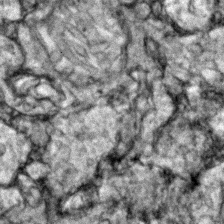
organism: Zebrafish